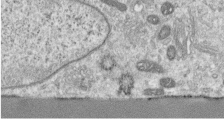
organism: Human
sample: Centriole in RPE cells